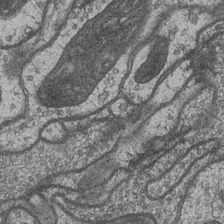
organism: Drosophila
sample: Optic medulla